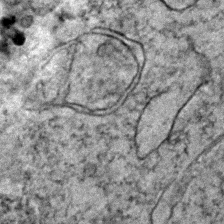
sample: Trachea